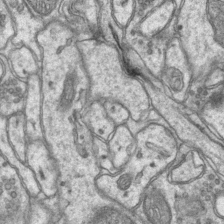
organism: Mouse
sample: CA1 Hippocampus